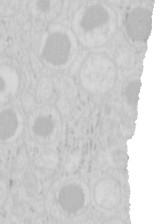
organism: Mouse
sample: Pancreas